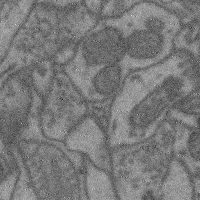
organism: Mouse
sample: Cerebral cortex